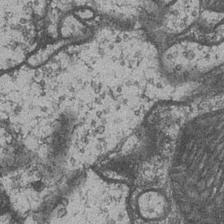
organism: Drosophila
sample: Optic medulla